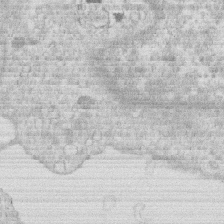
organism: Human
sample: Macrophage cells